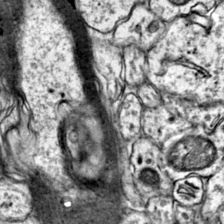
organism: Mouse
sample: Primary visual cortex